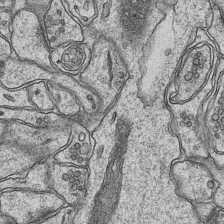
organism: Mouse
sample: CA1 Hippocampus